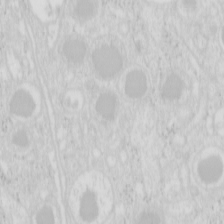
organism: Mouse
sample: Pancreas